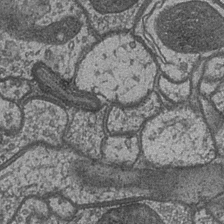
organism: Drosophila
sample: Optic medulla